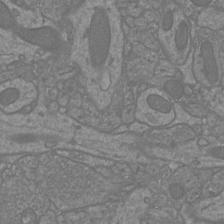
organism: Mouse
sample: Cortical neurons